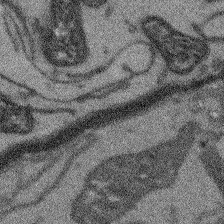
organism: Arabidopsis thaliana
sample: Root tip